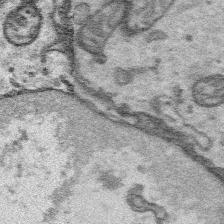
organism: Platynereis dumerilii